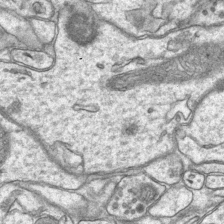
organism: Mouse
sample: CA1 Hippocampus